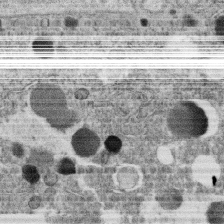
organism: C. elegans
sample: C. elegans oocyte; sperm cells